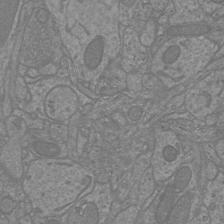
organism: Mouse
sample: Cortical neurons